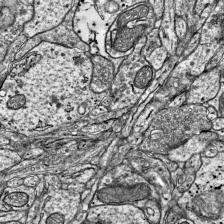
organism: Mouse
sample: Visual Cortex